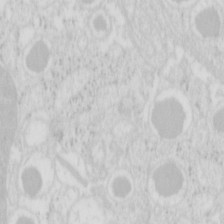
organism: Mouse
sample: Pancreas